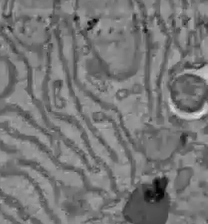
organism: C57BL Mouse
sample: Liver